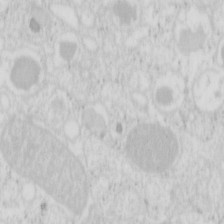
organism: Mouse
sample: Pancreas